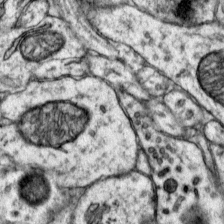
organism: Mouse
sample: Primary visual cortex